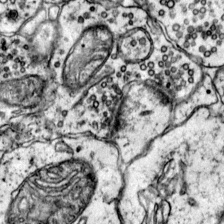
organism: Mouse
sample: Primary visual cortex